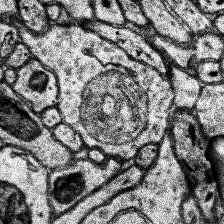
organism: Human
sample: Temporal Lobe